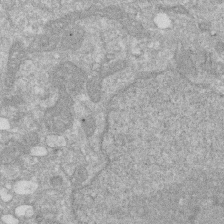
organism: Human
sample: HIV infected U937 cells